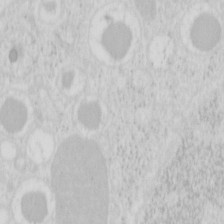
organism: Mouse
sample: Pancreas